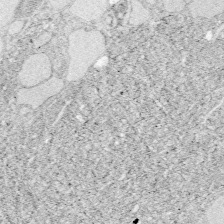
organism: Zebrafish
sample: Whole-Brain